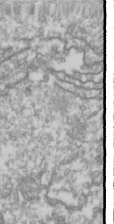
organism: Drosophila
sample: Cell division; meiosis; drosophila spermatocytes